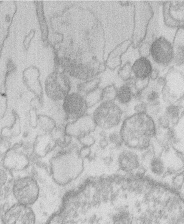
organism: Human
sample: Macrophage cells